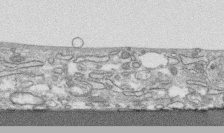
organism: Human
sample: CRL-1474